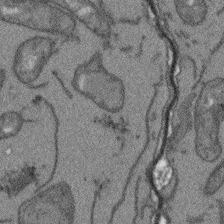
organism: Arabidopsis thaliana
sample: Root tip